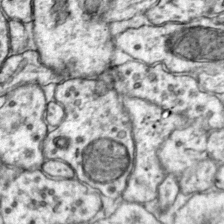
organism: Mouse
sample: Primary visual cortex